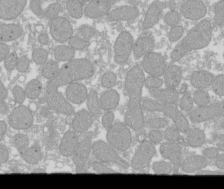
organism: Xenopus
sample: Cilia; centrioles in frog embryo cells